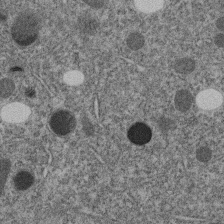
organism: C. elegans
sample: C. elegans embryo early stage